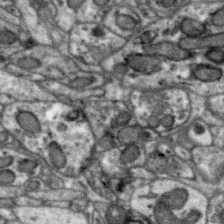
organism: Zebra finch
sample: Brain